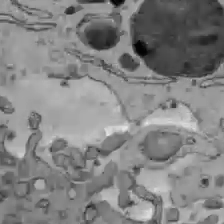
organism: C57BL Mouse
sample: Liver